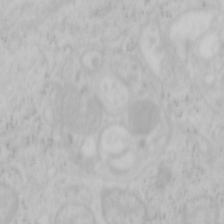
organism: Mouse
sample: OT-I killer T cells with ID8 ovarian cancer cells